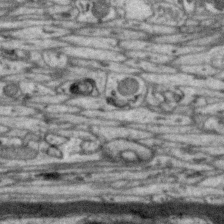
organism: Zebra finch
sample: Brain